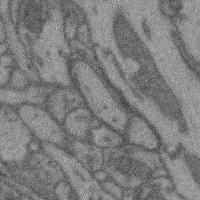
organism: Mouse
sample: Cerebral cortex